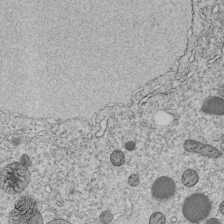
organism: C. elegans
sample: C. elegans embryo early stage